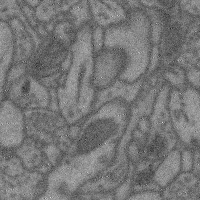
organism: Mouse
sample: Cerebral cortex